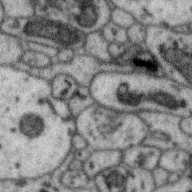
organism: Zebra finch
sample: Brain